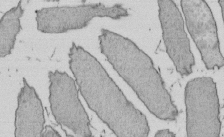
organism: E. coli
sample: Bacterial nucleoid